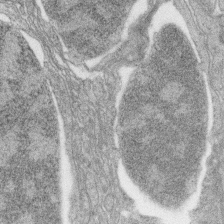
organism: Zebrafish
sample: synaptic ribbons in rod cells and cone cells